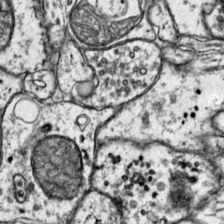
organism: Mouse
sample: Primary visual cortex